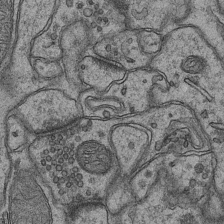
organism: Mouse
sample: CA1 Hippocampus